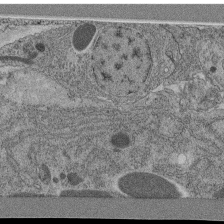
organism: C. elegans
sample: C. elegans pharynx